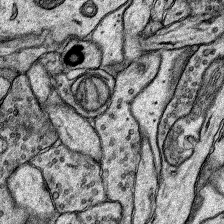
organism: Rat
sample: Hippocampus